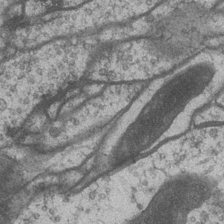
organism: Drosophila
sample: Optic medulla